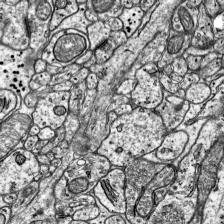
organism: Mouse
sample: Visual Cortex